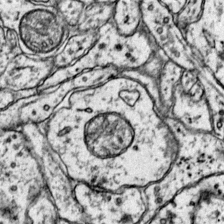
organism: Mouse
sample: Primary visual cortex